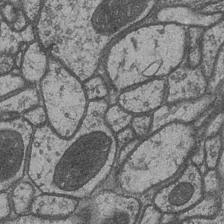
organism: Drosophila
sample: Optic medulla